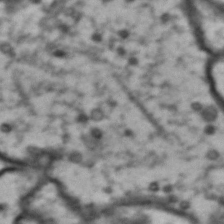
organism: Drosophila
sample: Brain